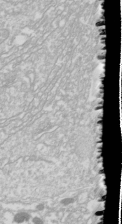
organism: Drosophila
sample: Cell division; meiosis; drosophila spermatocytes